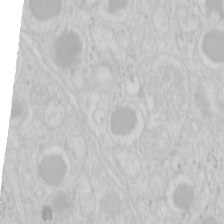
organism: Mouse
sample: Pancreas